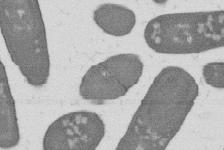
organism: B. subtilis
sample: Bacterial spore